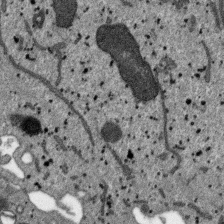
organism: Human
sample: Lung epithelial cells, uninfected (mock) control